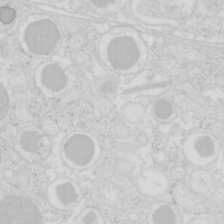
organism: Mouse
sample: Pancreas